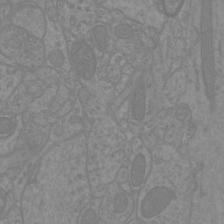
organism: Mouse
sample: Cortical neurons